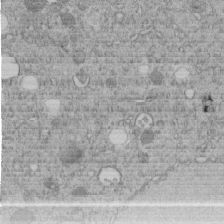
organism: C. elegans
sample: C. elegans embryo early stage